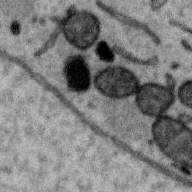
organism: Zebra finch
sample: Brain